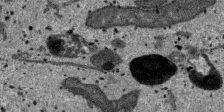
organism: Human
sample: Lung epithelial cells, uninfected (mock) control